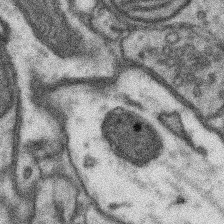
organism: Mouse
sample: Somatosensory cortex neuropil